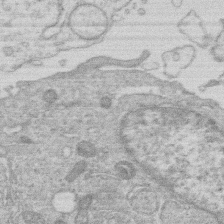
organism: Human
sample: Macrophage cells